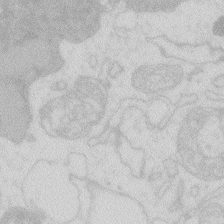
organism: Zebrafish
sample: Macrophage